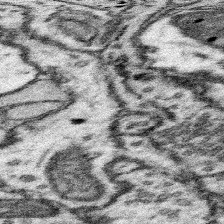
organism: Mouse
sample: Somatosensory cortex neuropil